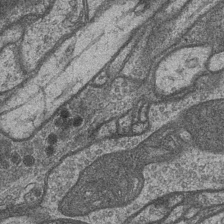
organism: Drosophila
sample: Optic medulla